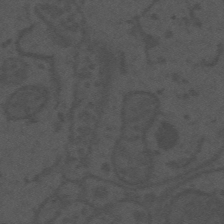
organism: Mouse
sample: Suprachiasmatic nucleus